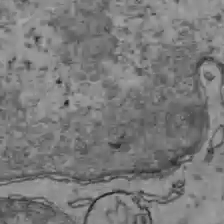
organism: C57BL Mouse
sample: Liver